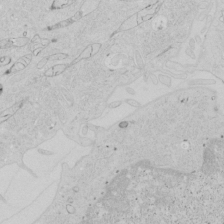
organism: Human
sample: Mitochondria in HCT116 cells